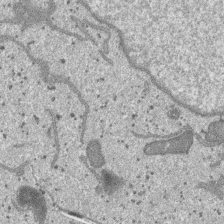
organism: Human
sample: Lung epithelial cells infected with SARS-CoV-2